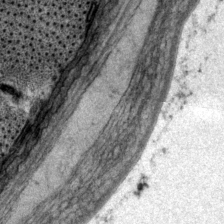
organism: P. pacificus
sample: Pharynx